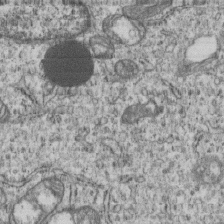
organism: Human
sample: MDA-MB-231 cells